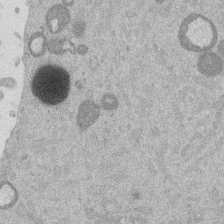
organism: Mouse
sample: Dividing mouse embryo 1 cell stage